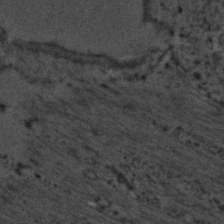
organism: C. elegans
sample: C. elegans embryo